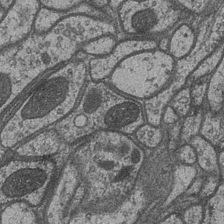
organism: Drosophila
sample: Optic medulla